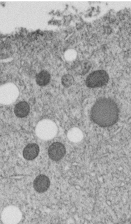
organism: C. elegans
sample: C. elegans embryo early stage